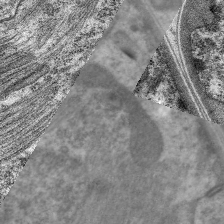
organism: C. elegans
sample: Pharynx